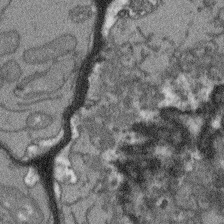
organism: Arabidopsis thaliana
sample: Root tip